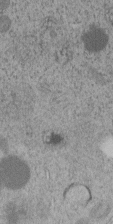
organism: C. elegans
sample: C. elegans embryo early stage